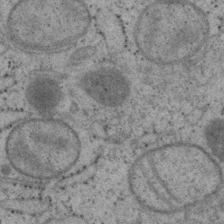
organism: Human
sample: HeLa cells